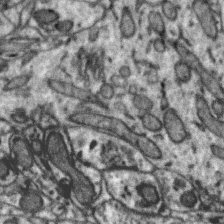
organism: Zebra finch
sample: Brain